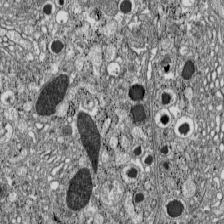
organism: C57BL Mouse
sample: Pancreatic islet